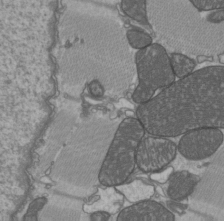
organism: C57BL Mouse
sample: Heart